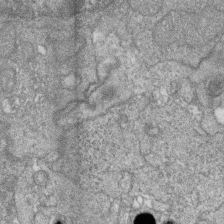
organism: Zebrafish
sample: Cilia; retinal pigment epithelium